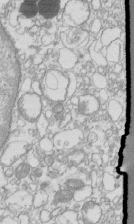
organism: Mouse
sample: Macrophages